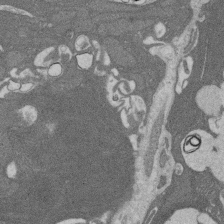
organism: Rat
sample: Salivary granule